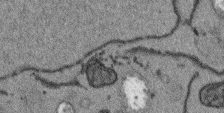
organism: Arabidopsis thaliana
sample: Root tip